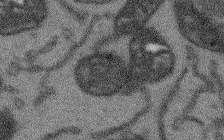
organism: Arabidopsis thaliana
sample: Root tip